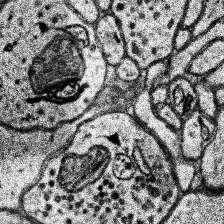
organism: Human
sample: Temporal Lobe